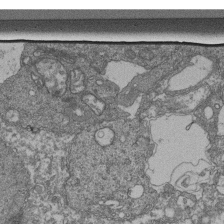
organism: Human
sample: Retinal organoid Rod and Cone cells